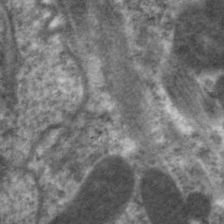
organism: C. elegans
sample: Pharynx